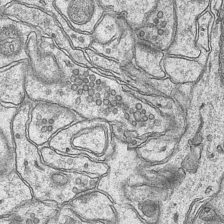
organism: Mouse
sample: CA1 Hippocampus